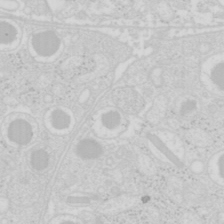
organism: Mouse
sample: Pancreas